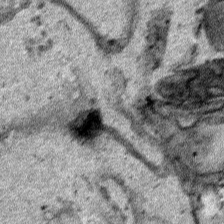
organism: Human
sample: Mitochondria in HCT116 cells